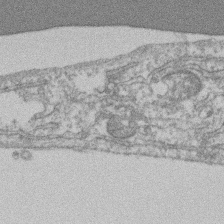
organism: Mouse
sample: T cell stromal cell synapse